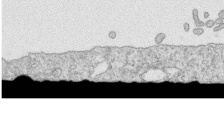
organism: Human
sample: HeLa cell HIV synapse